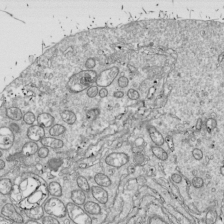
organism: Drosophila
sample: Cell division; meiosis; drosophila spermatocytes